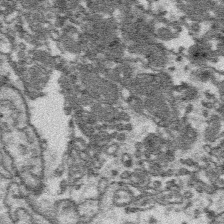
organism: Platynereis dumerilii